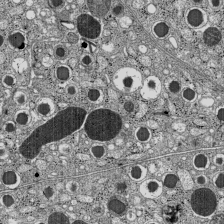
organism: C57BL Mouse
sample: Pancreatic islet